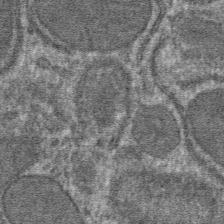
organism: Mouse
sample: Mouse hepatocytes